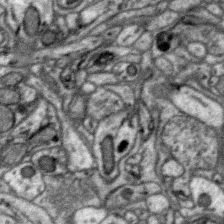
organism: Zebra finch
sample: Brain